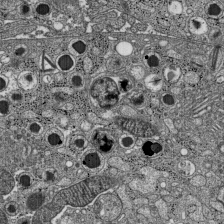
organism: C57BL Mouse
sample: Pancreatic islet